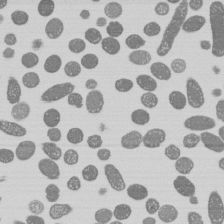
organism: E. coli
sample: Bacterial nucleoid